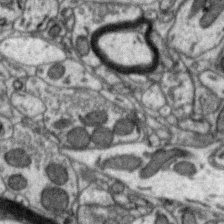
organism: Zebra finch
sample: Brain